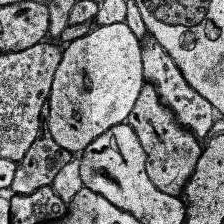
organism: Human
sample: Temporal Lobe